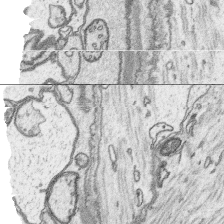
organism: Platynereis dumerilii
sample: Parapodia